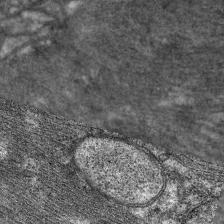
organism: C. elegans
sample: Pharynx